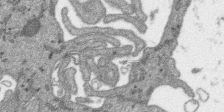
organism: Human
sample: Lung epithelial cells infected with SARS-CoV-2